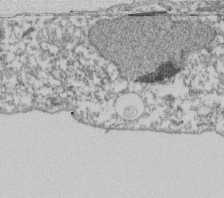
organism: Dictyostelium discoideum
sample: Dictyostelium multivesicular bodies